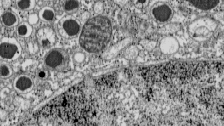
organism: C57BL Mouse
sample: Pancreatic islet